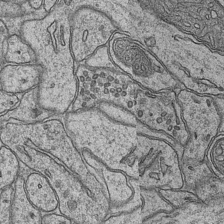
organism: Mouse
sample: CA1 Hippocampus